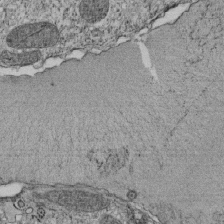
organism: Tetrahymena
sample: Cilia in tetrahymena